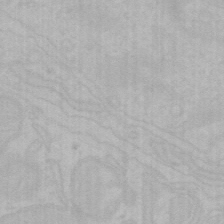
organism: Mouse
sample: Choroid plexus